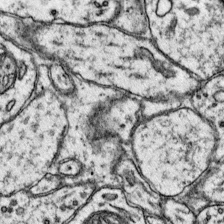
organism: Mouse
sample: Primary visual cortex